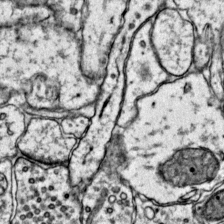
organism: Mouse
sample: Primary visual cortex